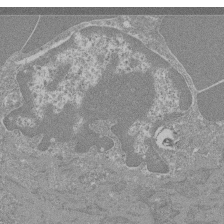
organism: Mouse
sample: Glomerulus